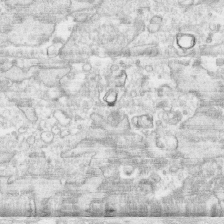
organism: Human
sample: CRL-1474